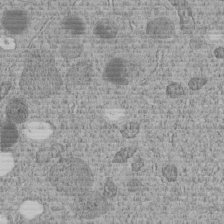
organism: C. elegans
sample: C. elegans embryo early stage